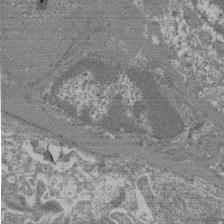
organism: Mouse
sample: Glomerulus